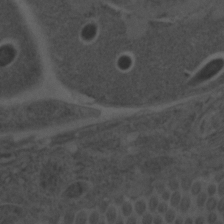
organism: C. elegans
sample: C. elegans embryo